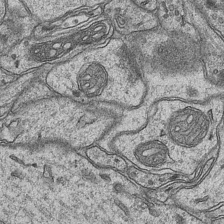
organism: Mouse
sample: CA1 Hippocampus